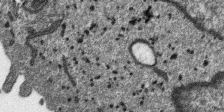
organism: Human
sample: Lung epithelial cells infected with SARS-CoV-2